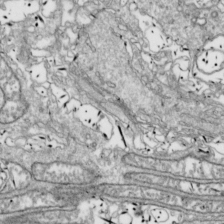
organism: Drosophila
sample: Cell division; meiosis; drosophila spermatocytes